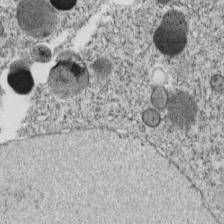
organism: C. elegans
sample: C. elegans embryo early stage